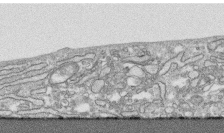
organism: Human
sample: CRL-1474